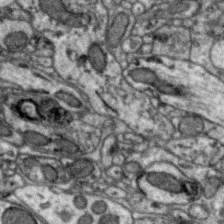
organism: Zebra finch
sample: Brain